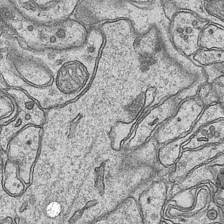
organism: Mouse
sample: CA1 Hippocampus